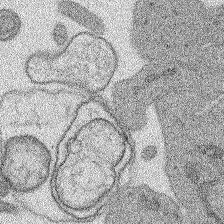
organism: Human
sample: HeLa cells